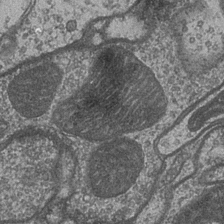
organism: Drosophila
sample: Optic medulla